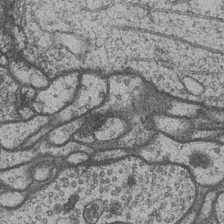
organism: Drosophila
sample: Optic medulla